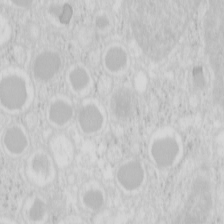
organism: Mouse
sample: Pancreas